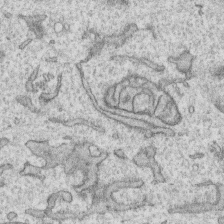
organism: Human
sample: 1205lu cells